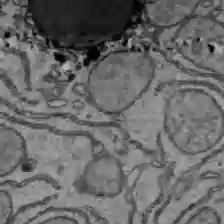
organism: C57BL Mouse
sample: Liver